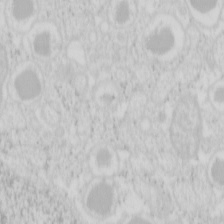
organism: Mouse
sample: Pancreas